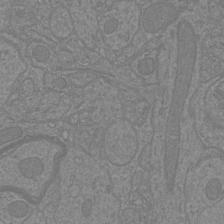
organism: Mouse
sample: Cortical neurons